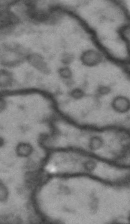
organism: Drosophila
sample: Brain